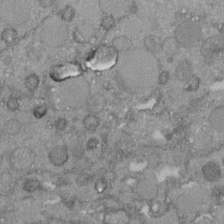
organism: C. elegans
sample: C. elegans embryo early stage